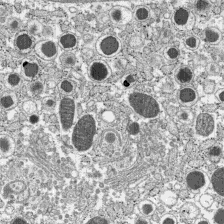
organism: C57BL Mouse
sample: Pancreatic islet